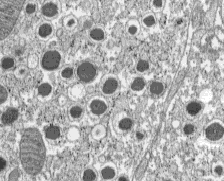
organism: C57BL Mouse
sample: Pancreatic islet